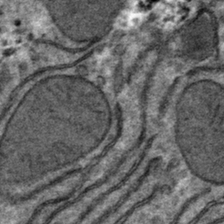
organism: Mouse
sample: Mouse hepatocytes